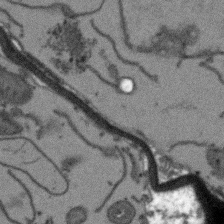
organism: Arabidopsis thaliana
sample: Root tip